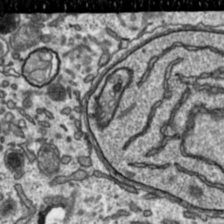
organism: Toxoplasma gondii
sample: Parasites in a vacuole inside a host cell